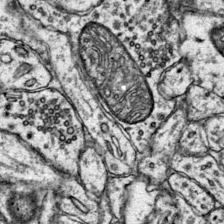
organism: Mouse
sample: Primary visual cortex